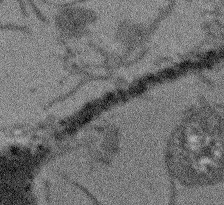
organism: Arabidopsis thaliana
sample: Root tip